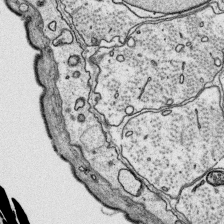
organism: Platynereis dumerilii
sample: Parapodia